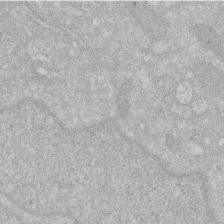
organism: Human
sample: HIV infected U937 cells